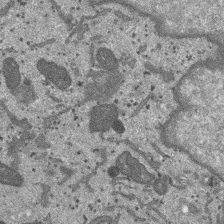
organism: Human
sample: Lung epithelial cells infected with SARS-CoV-2